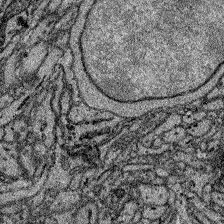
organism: Zebrafish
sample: Larval olfactory bulb